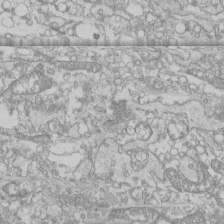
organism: Human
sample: CRL-1474